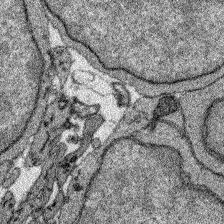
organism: Zebrafish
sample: Larval olfactory bulb